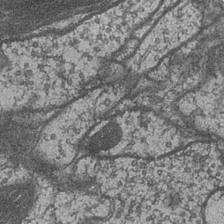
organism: Drosophila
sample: Optic medulla